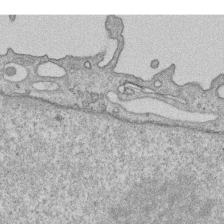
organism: Human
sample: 1205lu cells